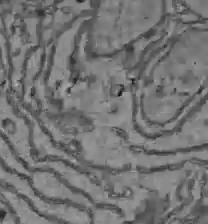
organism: C57BL Mouse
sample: Liver